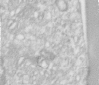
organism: Human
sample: Centriole in RPE cells